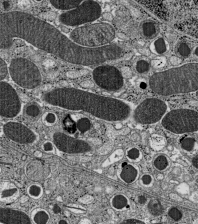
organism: C57BL Mouse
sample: Pancreatic islet